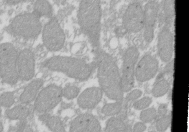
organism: Xenopus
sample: Cilia; centrioles in frog embryo cells